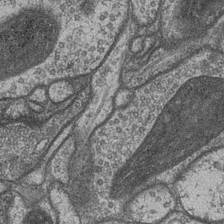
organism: Drosophila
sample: Optic medulla